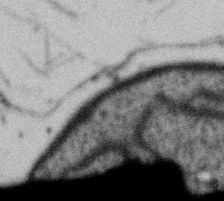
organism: Gemmata obscuriglobus